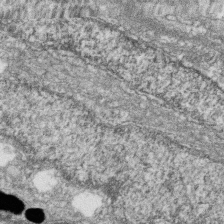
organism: Zebrafish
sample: Cilia; retinal pigment epithelium